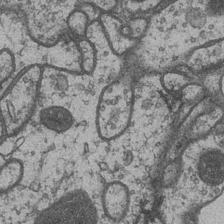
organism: Drosophila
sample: Optic medulla